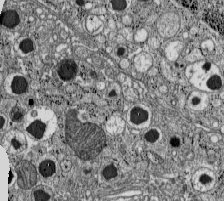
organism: C57BL Mouse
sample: Pancreatic islet